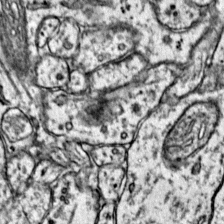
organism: Mouse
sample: Primary visual cortex